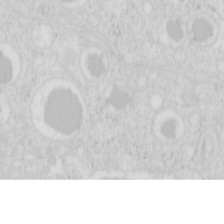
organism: Mouse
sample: Pancreas